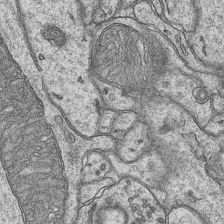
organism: Mouse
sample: CA1 Hippocampus